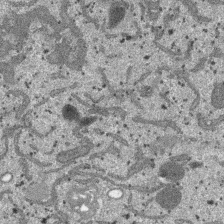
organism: Human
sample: Lung epithelial cells infected with SARS-CoV-2